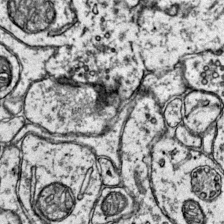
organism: Mouse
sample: Primary visual cortex